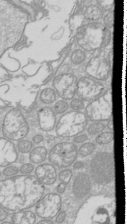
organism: Drosophila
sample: Cell division; meiosis; drosophila spermatocytes